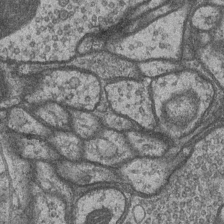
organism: Drosophila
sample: Optic medulla